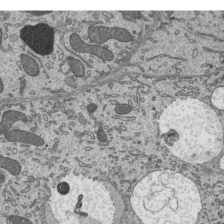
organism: Mouse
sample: Mouse epididymis efferent ductule cilia